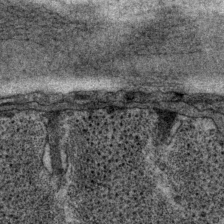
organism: P. pacificus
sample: Pharynx